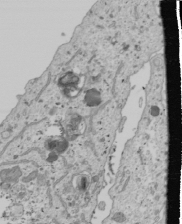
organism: Human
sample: Mitochondria in U2OS cells